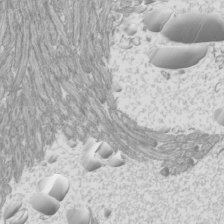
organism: Mouse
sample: Cilia; mouse epididymis